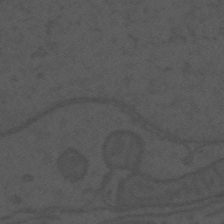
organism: Mouse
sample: Suprachiasmatic nucleus